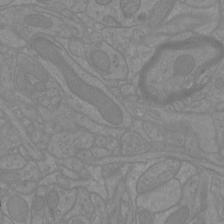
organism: Mouse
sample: Cortical neurons